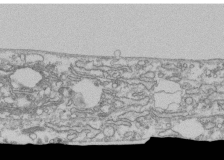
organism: Human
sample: Fibroblast cells